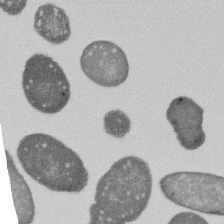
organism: E. coli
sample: Bacterial nucleoid